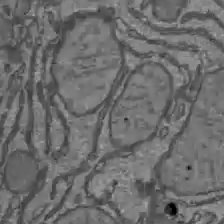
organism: C57BL Mouse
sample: Liver